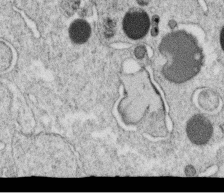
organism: C. elegans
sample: C. elegans oocyte; sperm cells